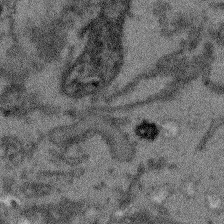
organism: Arabidopsis thaliana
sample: Root tip